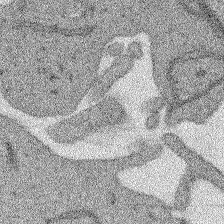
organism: Human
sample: HeLa cells